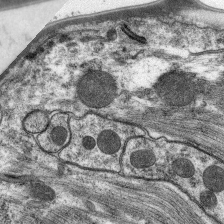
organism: C. elegans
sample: Pharynx